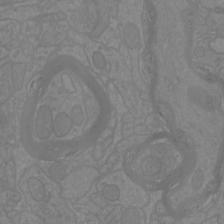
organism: Mouse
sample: Cortical neurons